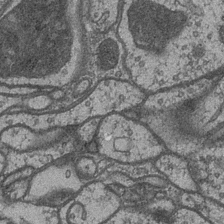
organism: Drosophila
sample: Optic medulla